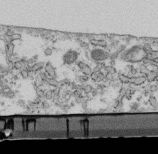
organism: Mouse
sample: Cilia; retinal pigment epithelium